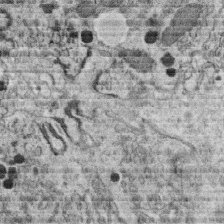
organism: C. elegans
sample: C. elegans oocyte; sperm cells